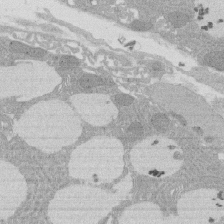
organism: Rat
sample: Salivary granule